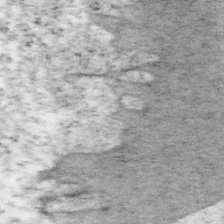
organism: Mouse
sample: OT-I killer T cells with ID8 ovarian cancer cells